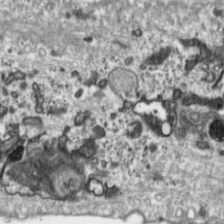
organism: Toxoplasma gondii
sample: Parasites in a vacuole inside a host cell